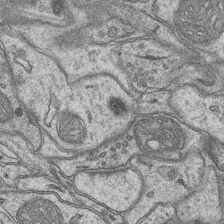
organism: Mouse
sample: CA1 Hippocampus